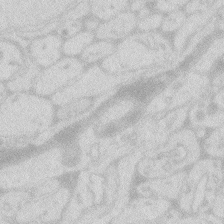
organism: Zebrafish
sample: Macrophage